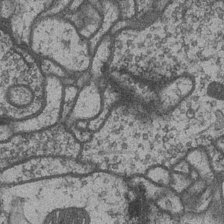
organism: Drosophila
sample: Optic medulla